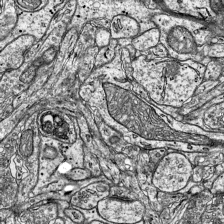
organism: Mouse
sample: Visual Cortex